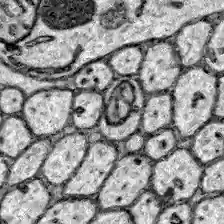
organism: Zebrafish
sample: Brain